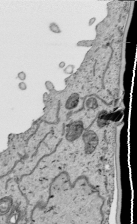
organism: Human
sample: Mitochondria in HCT116 cells